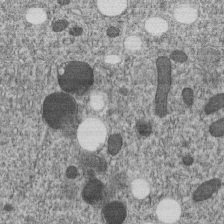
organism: C. elegans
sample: C. elegans embryo early stage